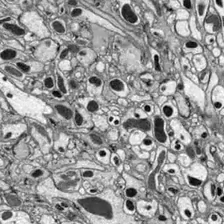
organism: Drosophila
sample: Optic lobe